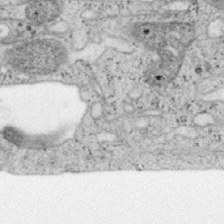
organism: Mouse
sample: OT-I killer T cells with ID8 ovarian cancer cells